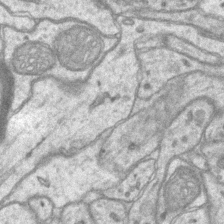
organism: Mouse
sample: CA1 Hippocampus